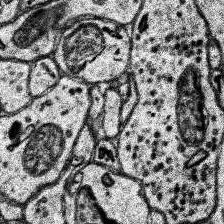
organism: Human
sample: Temporal Lobe